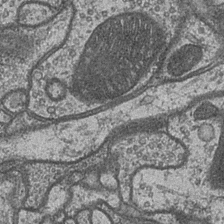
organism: Drosophila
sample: Optic medulla